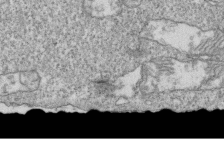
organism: Human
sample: HeLa cell HIV synapse